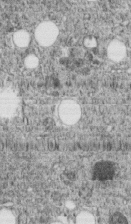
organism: C. elegans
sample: C. elegans embryo early stage